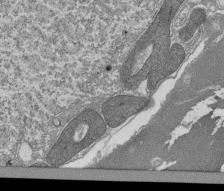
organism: Tetrahymena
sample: Cilia in tetrahymena